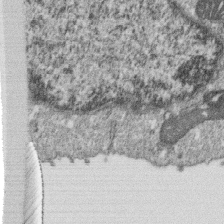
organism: African green monkey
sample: Vero E6 cells infected with SARS-CoV-2